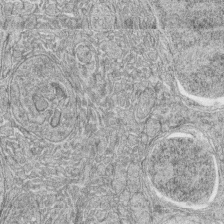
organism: Zebrafish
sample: synaptic ribbons in rod cells and cone cells